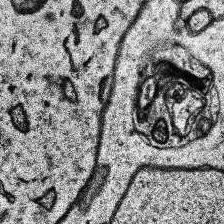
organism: Human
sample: Temporal Lobe